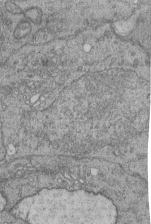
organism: Human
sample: Retinal organoid Rod and Cone cells